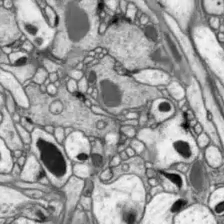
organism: Drosophila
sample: Optic lobe